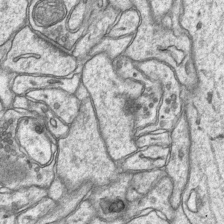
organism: Mouse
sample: CA1 Hippocampus